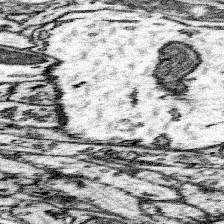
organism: Mouse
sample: Somatosensory cortex neuropil